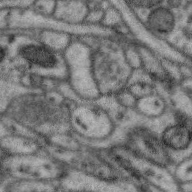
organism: Zebra finch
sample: Brain